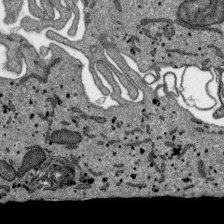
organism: Human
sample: Lung epithelial cells, uninfected (mock) control